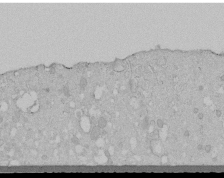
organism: Human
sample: Melanocyte Keratinocyte synapse skin construct